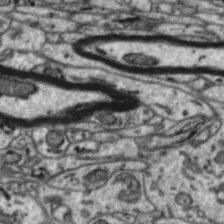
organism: Zebra finch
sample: Brain